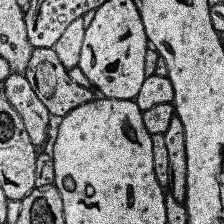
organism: Human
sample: Temporal Lobe